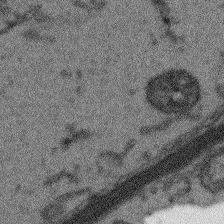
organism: Arabidopsis thaliana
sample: Root tip